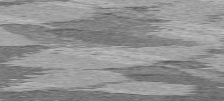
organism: C57BL Mouse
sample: Heart